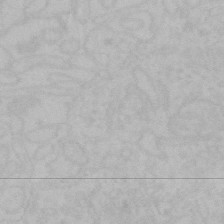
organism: Mouse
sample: Choroid plexus